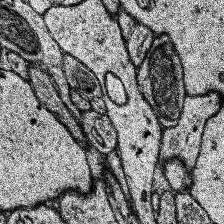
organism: Human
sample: Temporal Lobe